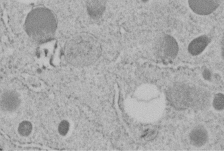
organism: C. elegans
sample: C. elegans embryo early stage